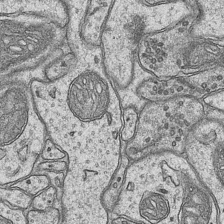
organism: Mouse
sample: CA1 Hippocampus